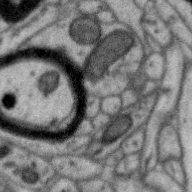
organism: Zebra finch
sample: Brain